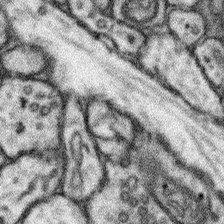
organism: Mouse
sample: Somatosensory cortex neuropil